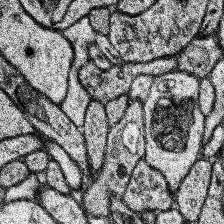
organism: Human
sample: Temporal Lobe